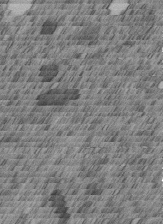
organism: C. elegans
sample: C. elegans embryo early stage